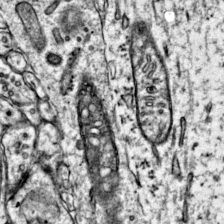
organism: Mouse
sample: Primary visual cortex